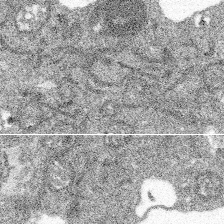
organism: Spongilla lacustris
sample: Multiple